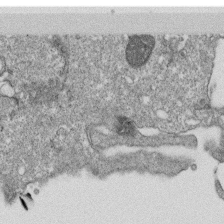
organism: African green monkey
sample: Vero E6 cells infected with SARS-CoV-2